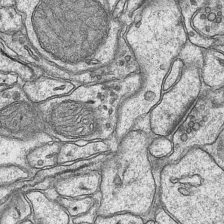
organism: Mouse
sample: CA1 Hippocampus